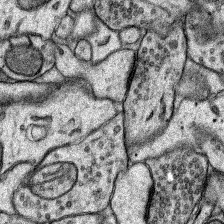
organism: Rat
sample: Hippocampus